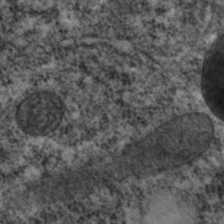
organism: C. elegans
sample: C. elegans embryo